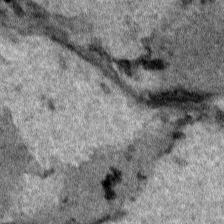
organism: Human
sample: Mitochondria in HCT116 cells